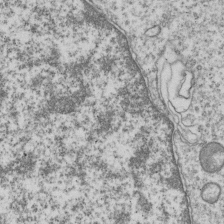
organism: Human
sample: MDA-MB-231 cells